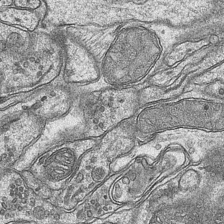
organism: Mouse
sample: CA1 Hippocampus